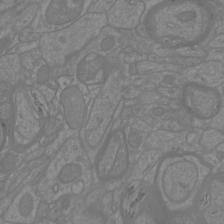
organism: Mouse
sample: Cortical neurons